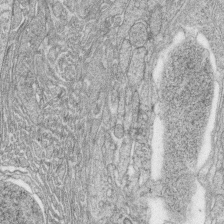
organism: Zebrafish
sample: synaptic ribbons in rod cells and cone cells